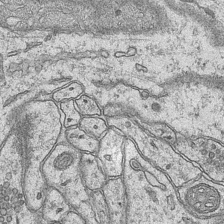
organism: Mouse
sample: CA1 Hippocampus